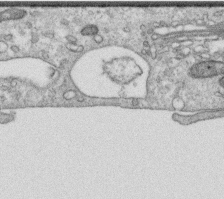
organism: Human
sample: Centriole in RPE cells